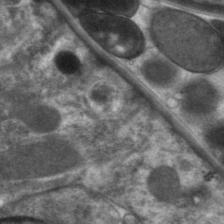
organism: C. elegans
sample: Pharynx